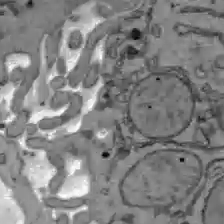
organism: C57BL Mouse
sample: Liver